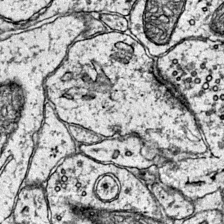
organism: Mouse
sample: Primary visual cortex